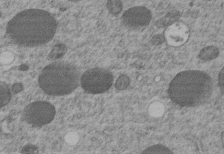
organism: C. elegans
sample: C. elegans embryo early stage